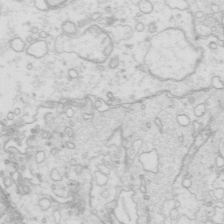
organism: Mouse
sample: Multiciliated cells